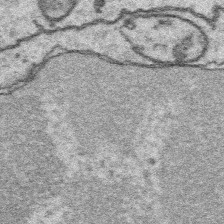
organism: Platynereis dumerilii